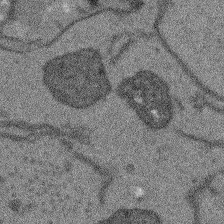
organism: Arabidopsis thaliana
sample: Root tip